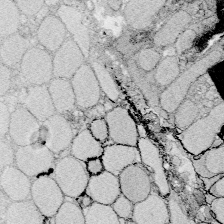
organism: Zebrafish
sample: Whole-Brain